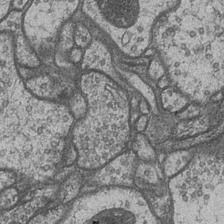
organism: Drosophila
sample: Optic medulla